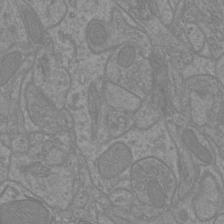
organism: Mouse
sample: Cortical neurons